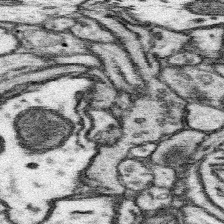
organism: Mouse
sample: Somatosensory cortex neuropil